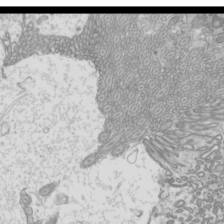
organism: Mouse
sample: Cilia; mouse epididymis